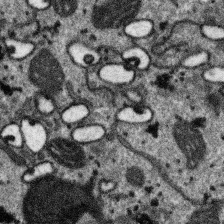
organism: Human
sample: Lung epithelial cells infected with SARS-CoV-2